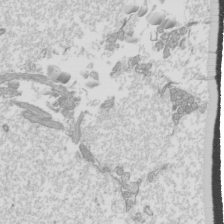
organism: Mouse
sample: Cilia; mouse epididymis